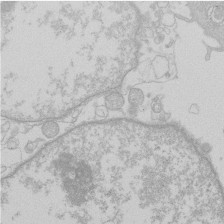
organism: Human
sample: Macrophage cells